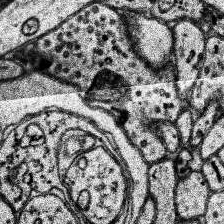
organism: Human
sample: Temporal Lobe